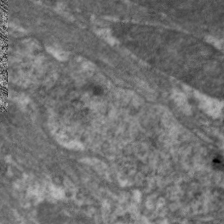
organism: C. elegans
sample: Pharynx